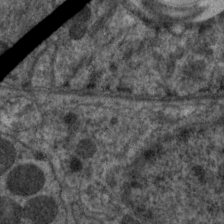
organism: C. elegans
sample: Pharynx